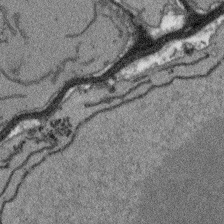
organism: Arabidopsis thaliana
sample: Root tip